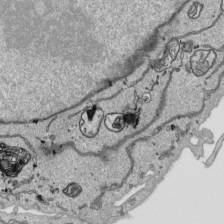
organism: Human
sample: Mitochondria in HCT116 cells